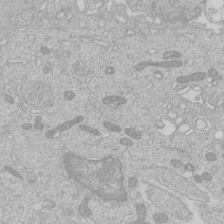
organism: Human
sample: Macrophage cells